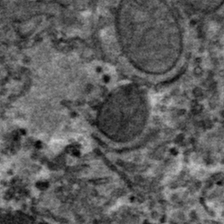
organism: Mouse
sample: Mouse hepatocytes